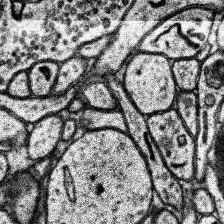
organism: Human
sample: Temporal Lobe